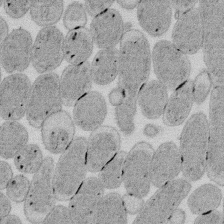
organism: E. coli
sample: Bacterial nucleoid